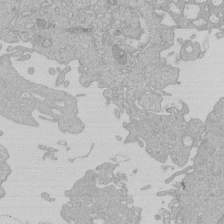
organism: Human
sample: Macrophage cells